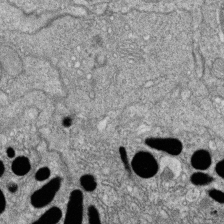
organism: Zebrafish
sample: Cilia; retinal pigment epithelium